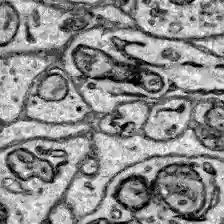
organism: Zebrafish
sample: Brain